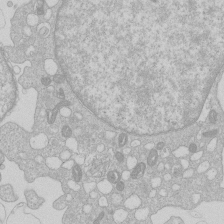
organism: Human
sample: Macrophage cells